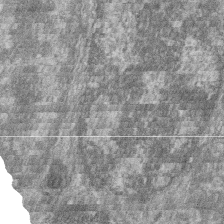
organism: Zebrafish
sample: Cilia; retinal pigment epithelium